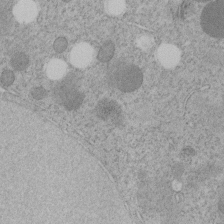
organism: C. elegans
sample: C. elegans embryo early stage